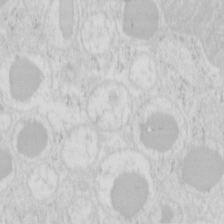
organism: Mouse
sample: Pancreas